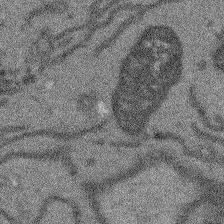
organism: Arabidopsis thaliana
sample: Root tip